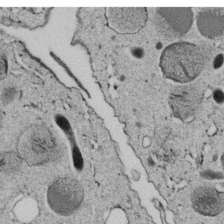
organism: C. elegans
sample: C. elegans embryo early stage